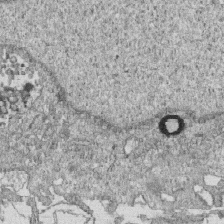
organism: Human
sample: HeLa cell HIV synapse